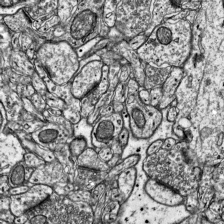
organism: Mouse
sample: Visual Cortex